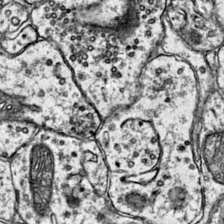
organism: Mouse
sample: Primary visual cortex